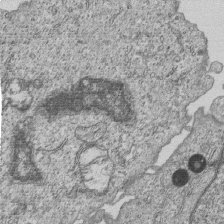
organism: Human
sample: MDA-MB-231 cells